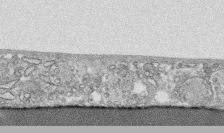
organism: Human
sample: CRL-1474